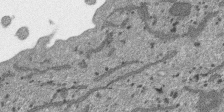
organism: Human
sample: Lung epithelial cells infected with SARS-CoV-2